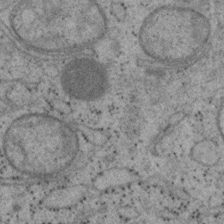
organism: Human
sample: HeLa cells